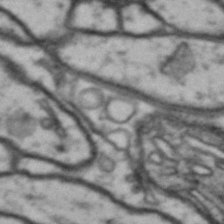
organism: Drosophila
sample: Brain